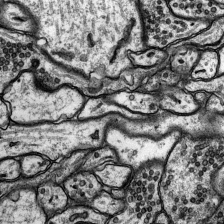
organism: Rat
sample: Hippocampus